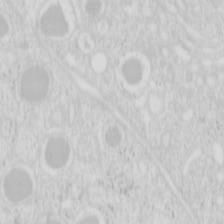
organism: Mouse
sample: Pancreas